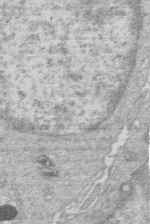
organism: Human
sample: Macrophage cells